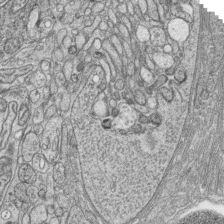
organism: Zebrafish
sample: synaptic ribbons in rod cells and cone cells